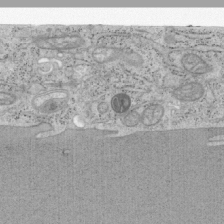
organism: Human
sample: HeLa cells